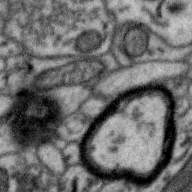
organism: Zebra finch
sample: Brain